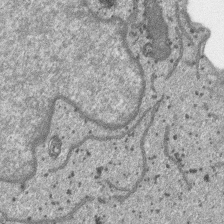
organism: Human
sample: Lung epithelial cells infected with SARS-CoV-2